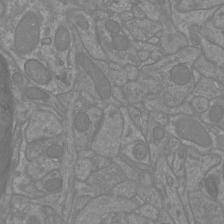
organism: Mouse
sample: Cortical neurons